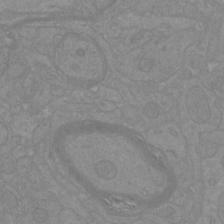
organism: Mouse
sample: Cortical neurons